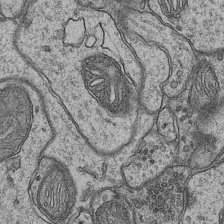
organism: Mouse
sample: CA1 Hippocampus